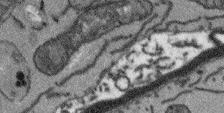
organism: Arabidopsis thaliana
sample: Root tip